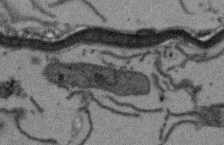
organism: Arabidopsis thaliana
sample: Root tip